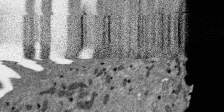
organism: Human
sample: Lung epithelial cells, uninfected (mock) control